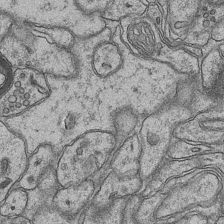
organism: Mouse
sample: CA1 Hippocampus